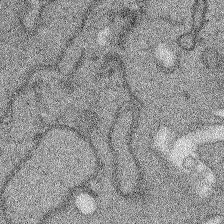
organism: Human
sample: HeLa cells